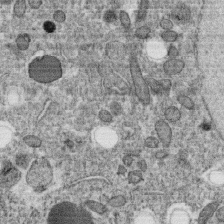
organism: C. elegans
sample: C. elegans oocyte; sperm cells